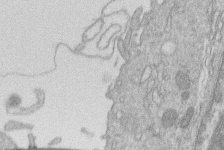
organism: Human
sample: Macrophage cells